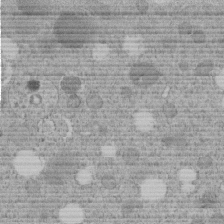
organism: C. elegans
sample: C. elegans embryo early stage